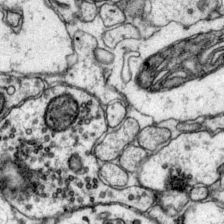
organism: Mouse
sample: Primary visual cortex